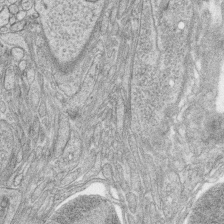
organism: Zebrafish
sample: synaptic ribbons in rod cells and cone cells